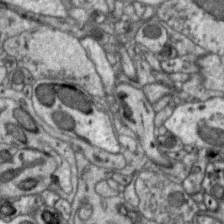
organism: Zebra finch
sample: Brain